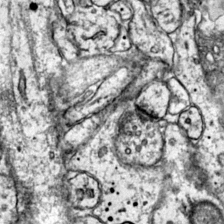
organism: Mouse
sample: Primary visual cortex